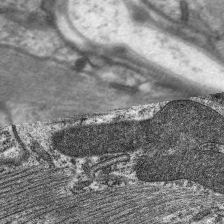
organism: C. elegans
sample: Pharynx